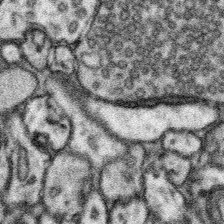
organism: Mouse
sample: Somatosensory cortex neuropil